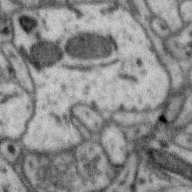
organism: Zebra finch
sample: Brain